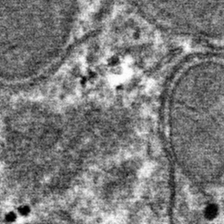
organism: Mouse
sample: Mouse hepatocytes